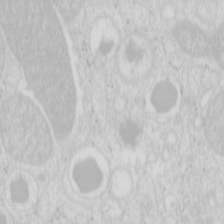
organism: Mouse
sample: Pancreas